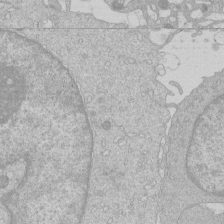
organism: Human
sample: Macrophage cells